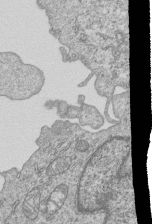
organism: Human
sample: MDA-MB-231 cells